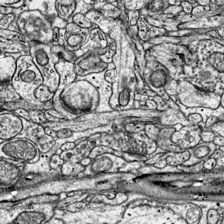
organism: Mouse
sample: Visual Cortex